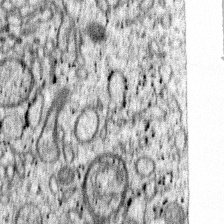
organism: Human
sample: HeLa cells